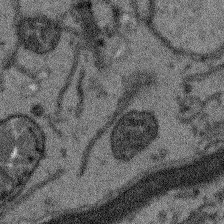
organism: Arabidopsis thaliana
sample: Root tip